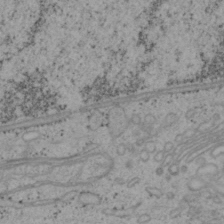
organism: Human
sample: HeLa cells